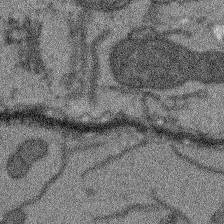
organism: Arabidopsis thaliana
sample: Root tip